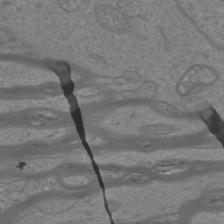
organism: Mouse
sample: Cortical neurons